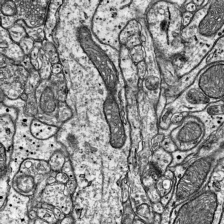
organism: Mouse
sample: Visual Cortex